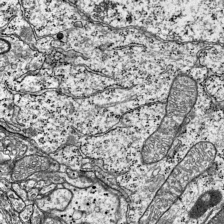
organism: Mouse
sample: Visual Cortex